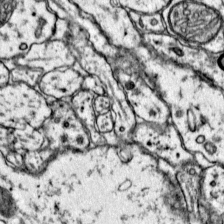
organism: Mouse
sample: Primary visual cortex